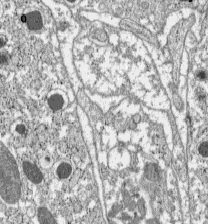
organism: C57BL Mouse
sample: Pancreatic islet